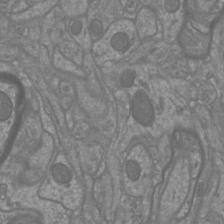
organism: Mouse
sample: Cortical neurons